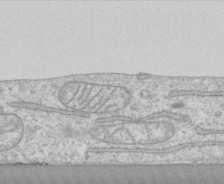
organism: Human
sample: CRL-1474